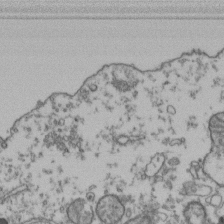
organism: Human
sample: Activated Jurkat CD4+ T cells